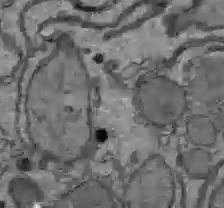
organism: C57BL Mouse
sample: Liver